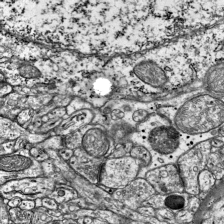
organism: Mouse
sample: Visual Cortex